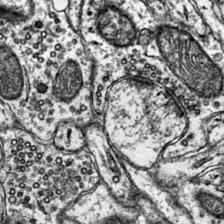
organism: Mouse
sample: Primary visual cortex